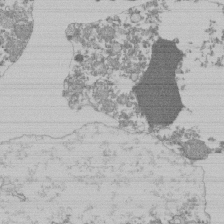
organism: Mouse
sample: Activated Pmel transgenic CD8+ T Cells